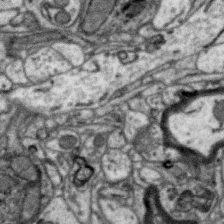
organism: Zebra finch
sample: Brain